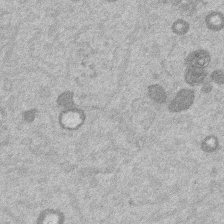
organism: Mouse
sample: Dividing mouse embryo 1 cell stage